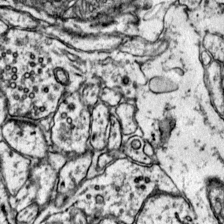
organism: Mouse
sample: Primary visual cortex